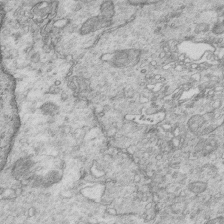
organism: Mouse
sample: Multiciliated cells